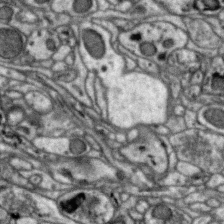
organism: Zebra finch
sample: Brain